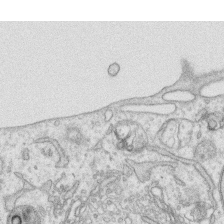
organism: Human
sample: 1205lu cells